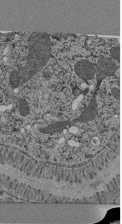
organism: C. elegans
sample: C. elegans pharynx